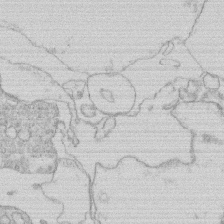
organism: Human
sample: Macrophage cells